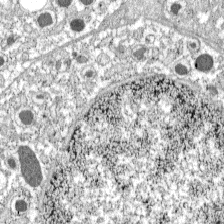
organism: C57BL Mouse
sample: Pancreatic islet